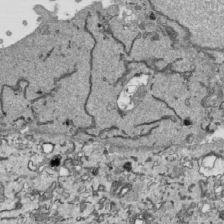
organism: Human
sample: Mitochondria in HCT116 cells